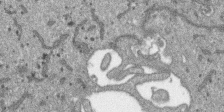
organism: Human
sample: Lung epithelial cells infected with SARS-CoV-2